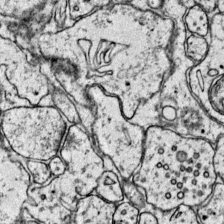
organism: Mouse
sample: Primary visual cortex